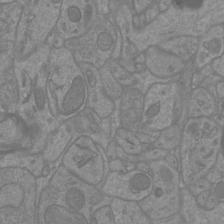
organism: Mouse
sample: Cortical neurons